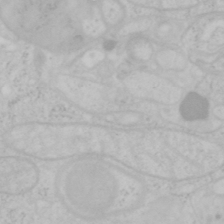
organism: Mouse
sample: OT-I killer T cells with ID8 ovarian cancer cells